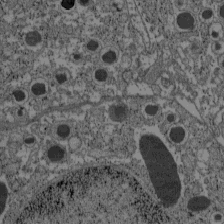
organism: C57BL Mouse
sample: Pancreatic islet